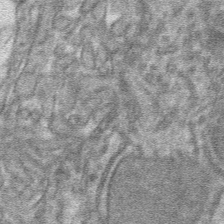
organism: Mouse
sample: Mouse hepatocytes